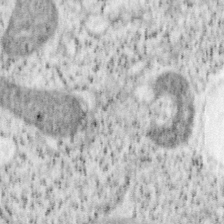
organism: Mouse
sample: OT-I killer T cells with ID8 ovarian cancer cells